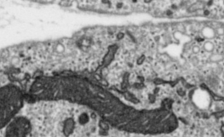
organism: Toxoplasma gondii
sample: Parasites in a vacuole inside a host cell